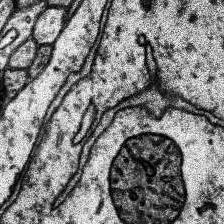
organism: Human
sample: Temporal Lobe